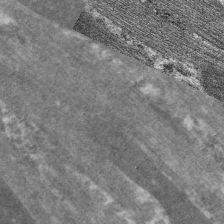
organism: C. elegans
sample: Pharynx